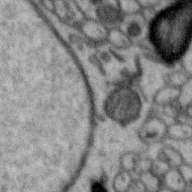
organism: Zebra finch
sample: Brain